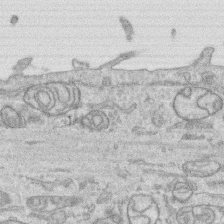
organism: Human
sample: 1205lu cells